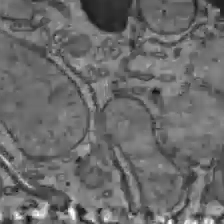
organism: C57BL Mouse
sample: Liver